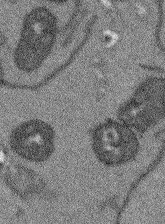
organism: Arabidopsis thaliana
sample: Root tip